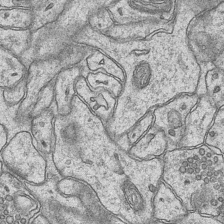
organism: Mouse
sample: CA1 Hippocampus